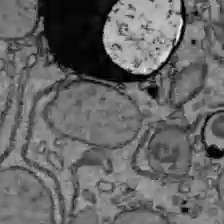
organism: C57BL Mouse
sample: Liver